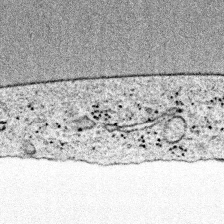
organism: Human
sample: HeLa cells